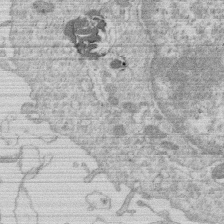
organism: Human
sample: Macrophage cells